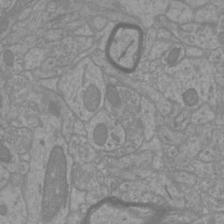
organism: Mouse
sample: Cortical neurons